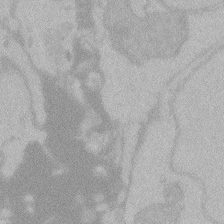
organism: Zebrafish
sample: Macrophage infected with Toxoplasma gondii